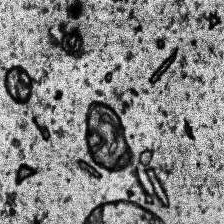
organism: Human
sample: Temporal Lobe